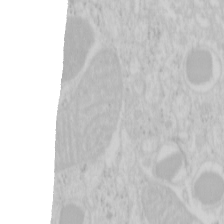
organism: Mouse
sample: Pancreas